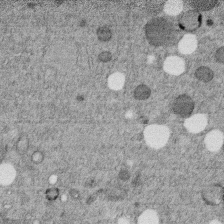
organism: C. elegans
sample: C. elegans embryo early stage